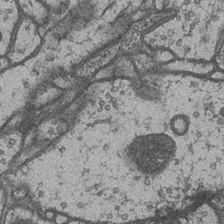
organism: Drosophila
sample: Optic medulla